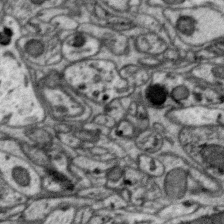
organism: Zebra finch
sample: Brain